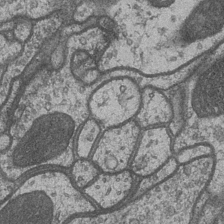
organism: Drosophila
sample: Optic medulla